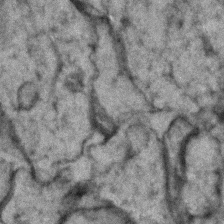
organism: Zebrafish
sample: Zebrafish embryo